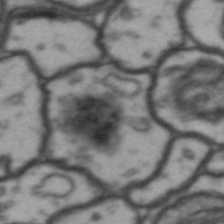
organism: Drosophila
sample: Brain